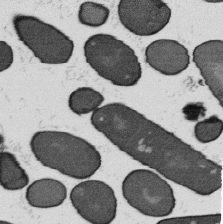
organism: B. subtilis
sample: Bacterial spore